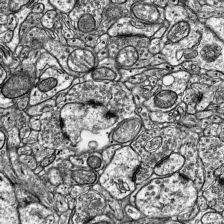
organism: Mouse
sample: Visual Cortex